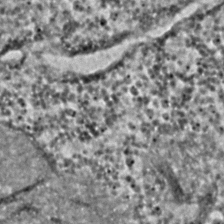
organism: C. elegans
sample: C. elegans embryo